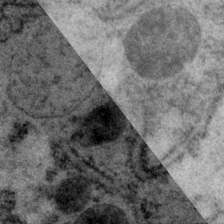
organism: P. pacificus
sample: Pharynx